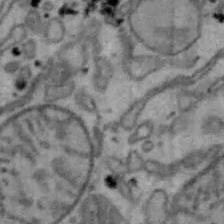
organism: Mouse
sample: Liver